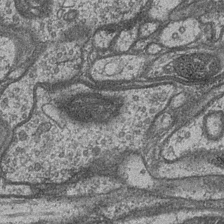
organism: Drosophila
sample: Optic medulla